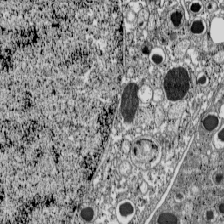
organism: C57BL Mouse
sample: Pancreatic islet